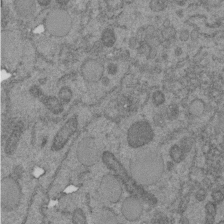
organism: C. elegans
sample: C. elegans embryo early stage